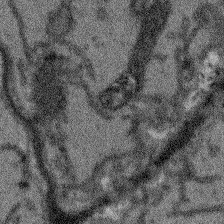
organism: Arabidopsis thaliana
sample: Root tip